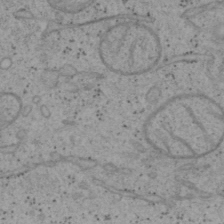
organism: Human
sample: HeLa cells